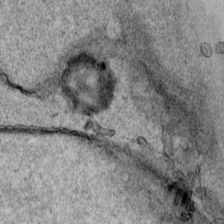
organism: Human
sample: Mitochondria in HCT116 cells